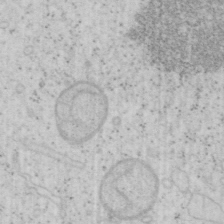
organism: Human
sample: HeLa cells